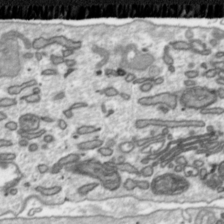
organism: Toxoplasma gondii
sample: Parasites in a vacuole inside a host cell